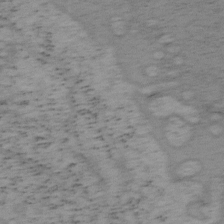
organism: Mouse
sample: OT-I killer T cells with ID8 ovarian cancer cells